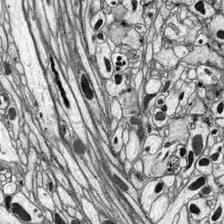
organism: Drosophila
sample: Optic lobe